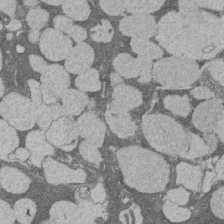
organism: Rat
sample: Salivary granule